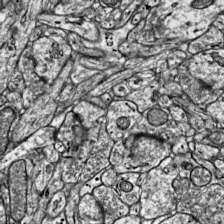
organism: Mouse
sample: Visual Cortex